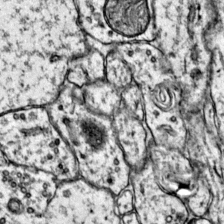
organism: Mouse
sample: Primary visual cortex